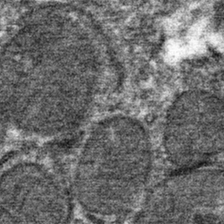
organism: Mouse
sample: Mouse hepatocytes